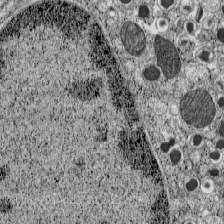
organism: C57BL Mouse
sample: Pancreatic islet